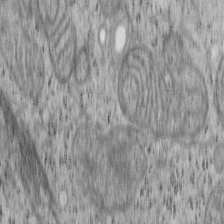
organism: Human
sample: HeLa cells